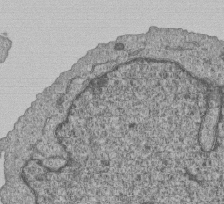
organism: Human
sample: MDA-MB-231 cells